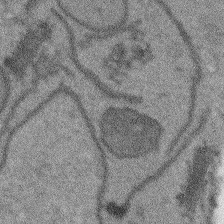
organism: Arabidopsis thaliana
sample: Root tip